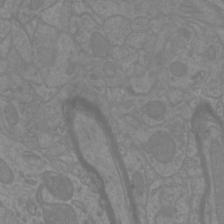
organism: Mouse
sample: Cortical neurons